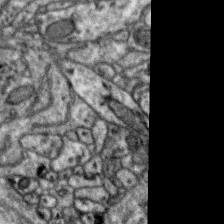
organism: Zebra finch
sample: Brain